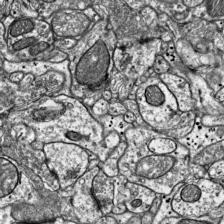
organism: Mouse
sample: Visual Cortex